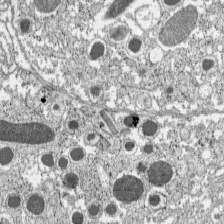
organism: C57BL Mouse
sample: Pancreatic islet